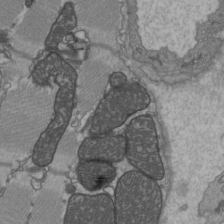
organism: C57BL Mouse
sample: Heart